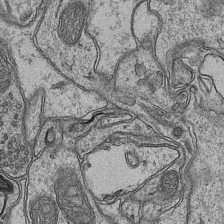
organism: Mouse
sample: CA1 Hippocampus